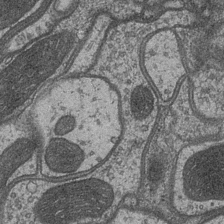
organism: Drosophila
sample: Optic medulla